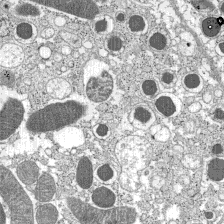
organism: C57BL Mouse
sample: Pancreatic islet